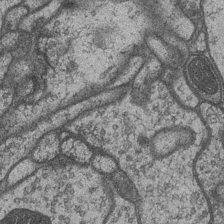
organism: Drosophila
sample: Optic medulla